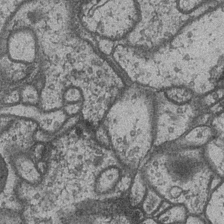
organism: Drosophila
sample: Optic medulla